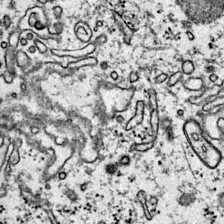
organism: Mouse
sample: Primary visual cortex